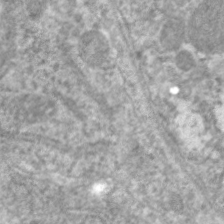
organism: C. elegans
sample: Pharynx